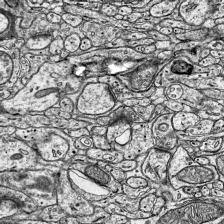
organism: Mouse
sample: Visual Cortex